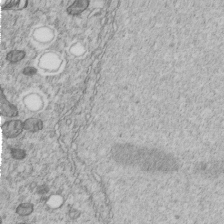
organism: C. elegans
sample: C. elegans embryo early stage